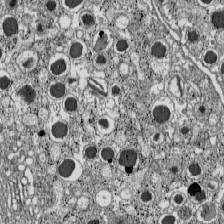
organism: C57BL Mouse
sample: Pancreatic islet